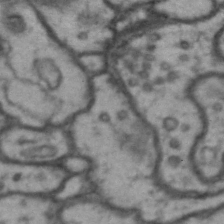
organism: Drosophila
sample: Brain